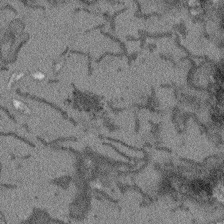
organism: Arabidopsis thaliana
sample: Root tip